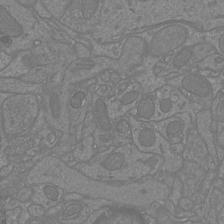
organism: Mouse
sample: Cortical neurons